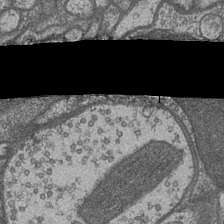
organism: Drosophila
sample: Optic medulla